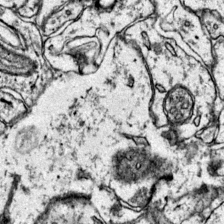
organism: Mouse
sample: Primary visual cortex